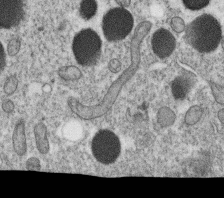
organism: C. elegans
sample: C. elegans oocyte; sperm cells